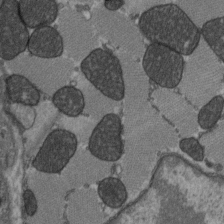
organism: C57BL Mouse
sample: Heart